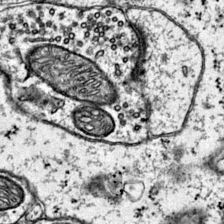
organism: Mouse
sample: Primary visual cortex